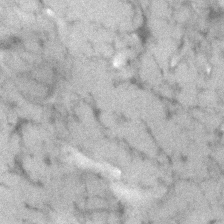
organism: Human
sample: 1205lu cells